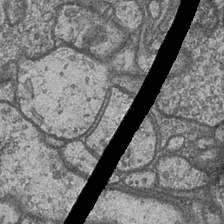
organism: Drosophila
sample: Optic medulla